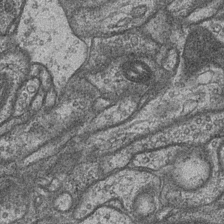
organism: Drosophila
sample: Optic medulla